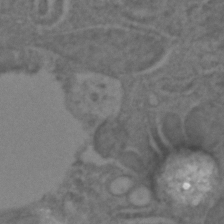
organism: C. elegans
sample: C. elegans embryo